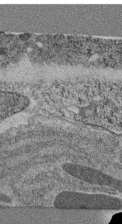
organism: C. elegans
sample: C. elegans pharynx